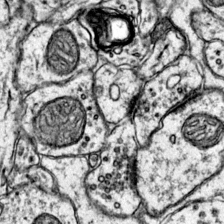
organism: Mouse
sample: Primary visual cortex